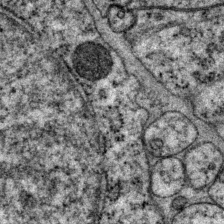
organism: P. pacificus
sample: Pharynx